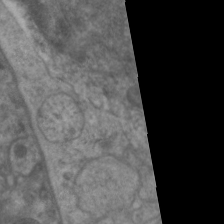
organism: C. elegans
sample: Pharynx